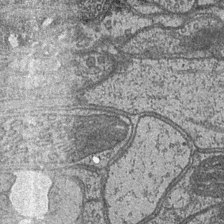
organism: Drosophila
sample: Optic medulla